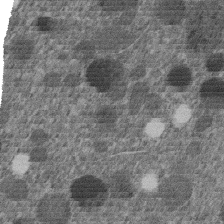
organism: C. elegans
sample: C. elegans embryo early stage